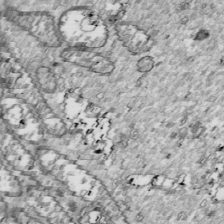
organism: Drosophila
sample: Cell division; meiosis; drosophila spermatocytes